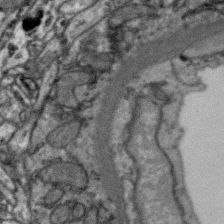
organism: Zebra finch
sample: Brain